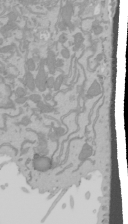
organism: Mouse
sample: Cancer cell death in ED-1 cells